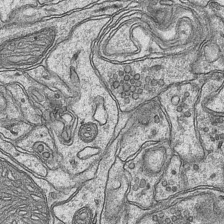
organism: Mouse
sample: CA1 Hippocampus